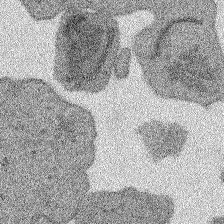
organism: Human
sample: HeLa cells